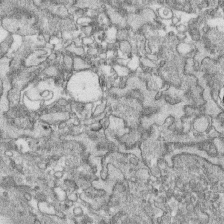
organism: Human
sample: CRL-1474